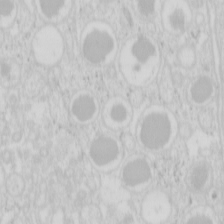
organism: Mouse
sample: Pancreas